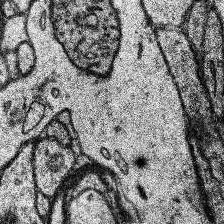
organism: Human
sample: Temporal Lobe